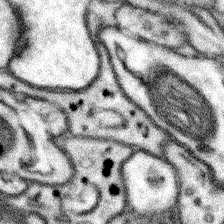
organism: Mouse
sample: Somatosensory cortex neuropil